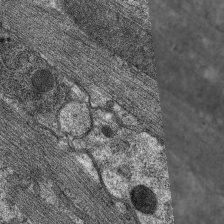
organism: C. elegans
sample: Pharynx